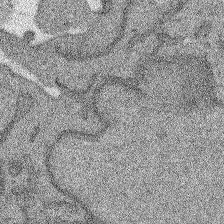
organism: Human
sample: HeLa cells